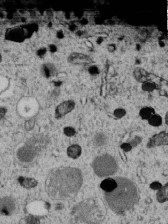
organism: C. elegans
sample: C. elegans embryo early stage